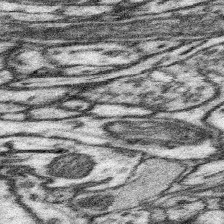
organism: Mouse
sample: Somatosensory cortex neuropil